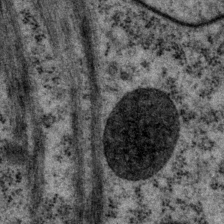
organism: P. pacificus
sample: Pharynx